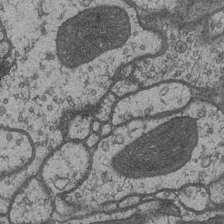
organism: Drosophila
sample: Optic medulla